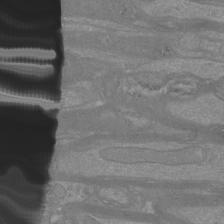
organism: Mouse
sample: Cortical neurons